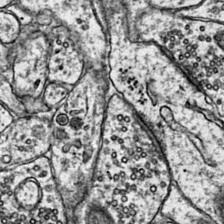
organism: Mouse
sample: Primary visual cortex